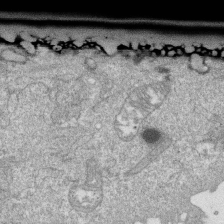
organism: Human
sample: HeLa cell HIV synapse